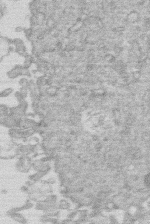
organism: Human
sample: Macrophage cells